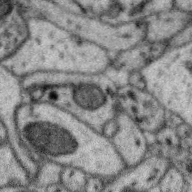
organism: Zebra finch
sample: Brain